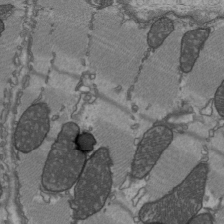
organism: C57BL Mouse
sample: Heart